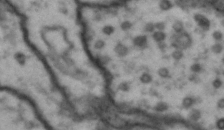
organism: Drosophila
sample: Brain